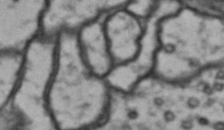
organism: Drosophila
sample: Brain